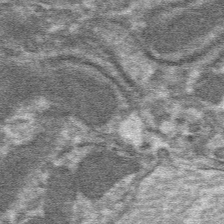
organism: Mouse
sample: Mouse hepatocytes